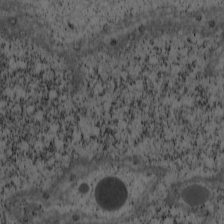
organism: African green monkey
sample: COS-7 cells